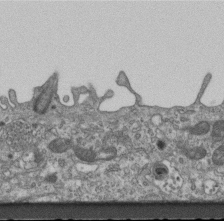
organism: Mouse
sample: Centriole in ependymal cells